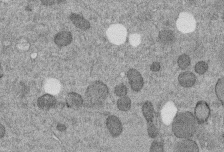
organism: C. elegans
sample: C. elegans embryo early stage